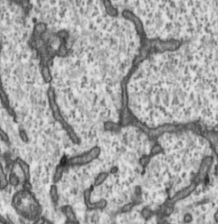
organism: Toxoplasma gondii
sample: Parasites in a vacuole inside a host cell